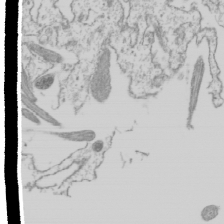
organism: Mouse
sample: Cilia; mouse epididymis